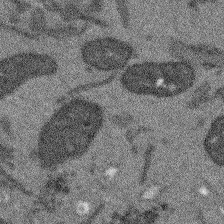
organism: Arabidopsis thaliana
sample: Root tip